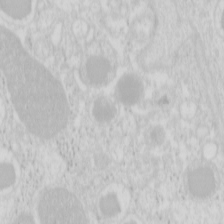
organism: Mouse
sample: Pancreas